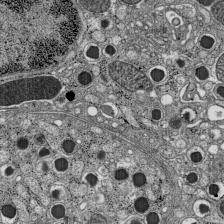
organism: C57BL Mouse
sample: Pancreatic islet